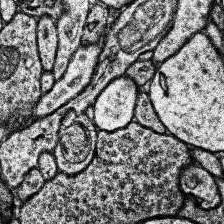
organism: Human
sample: Temporal Lobe